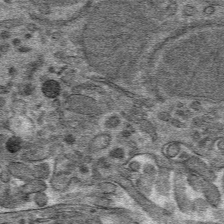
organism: Mouse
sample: Mouse hepatocytes